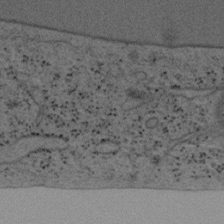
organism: Human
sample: HeLa cells